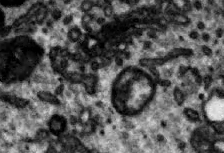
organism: Human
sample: HeLa cells